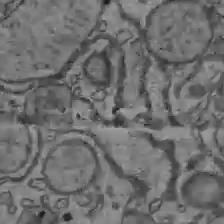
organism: C57BL Mouse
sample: Liver